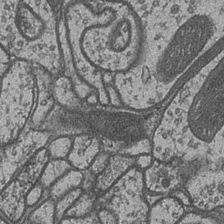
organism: Drosophila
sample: Optic medulla